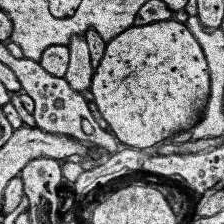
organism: Human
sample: Temporal Lobe